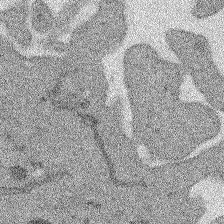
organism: Human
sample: HeLa cells